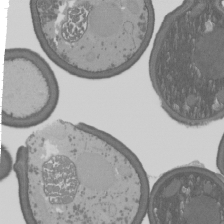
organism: S. cerevisiae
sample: Yeast cells